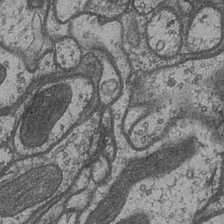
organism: Drosophila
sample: Optic medulla